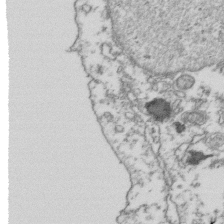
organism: Human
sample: Activated Jurkat CD4+ T cells